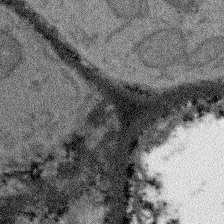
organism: Arabidopsis thaliana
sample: Root tip